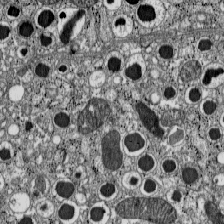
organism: C57BL Mouse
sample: Pancreatic islet